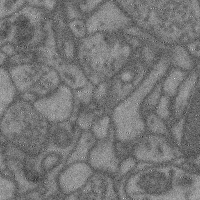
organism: Mouse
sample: Cerebral cortex